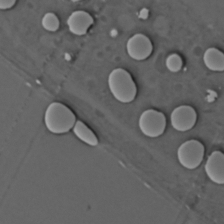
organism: C. elegans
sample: C. elegans embryo